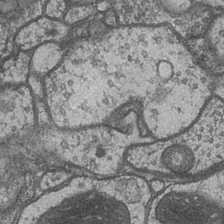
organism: Drosophila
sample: Optic medulla